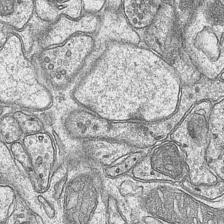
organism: Mouse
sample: CA1 Hippocampus